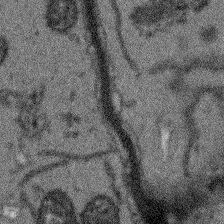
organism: Arabidopsis thaliana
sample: Root tip